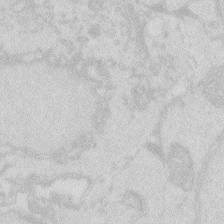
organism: Zebrafish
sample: Macrophage